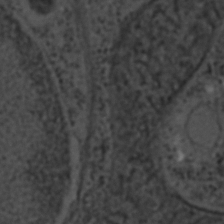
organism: C. elegans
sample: C. elegans embryo